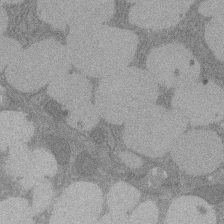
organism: Rat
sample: Salivary granule